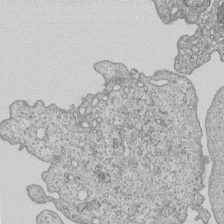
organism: Human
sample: MDA-MB-231 cells